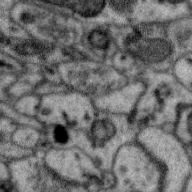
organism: Zebra finch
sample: Brain